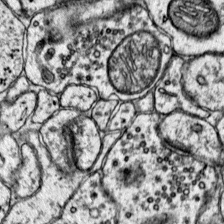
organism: Mouse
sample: Primary visual cortex